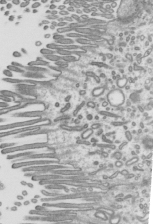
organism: Mouse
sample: Mouse epididymis efferent ductule cilia